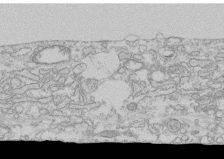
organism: Human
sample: CRL-1474